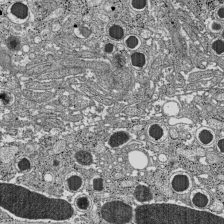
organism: C57BL Mouse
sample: Pancreatic islet